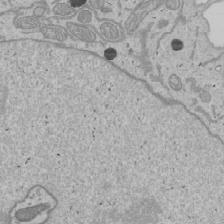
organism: Human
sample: Mitochondria in U2OS cells